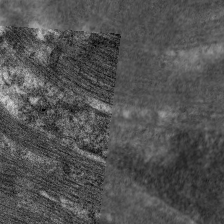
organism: C. elegans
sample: Pharynx